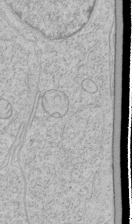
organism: Human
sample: Mitochondria in HCT116 cells